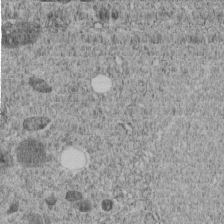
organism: C. elegans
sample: C. elegans embryo early stage